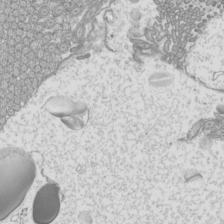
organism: Mouse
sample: Cilia; mouse epididymis